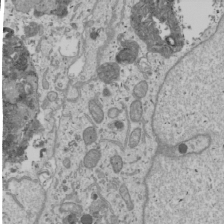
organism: Human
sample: Mitochondria in U2OS cells